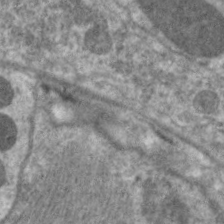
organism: C. elegans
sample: Pharynx